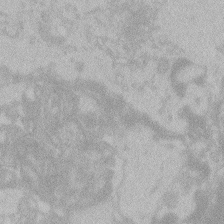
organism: Zebrafish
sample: Macrophage infected with Toxoplasma gondii